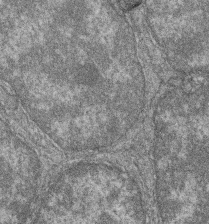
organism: Zebrafish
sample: Cilia; retinal pigment epithelium